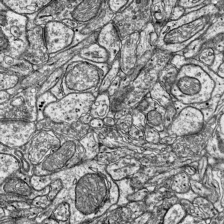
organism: Mouse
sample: Visual Cortex